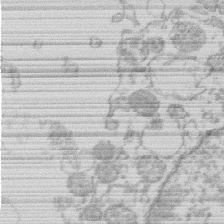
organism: Human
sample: Macrophage cells